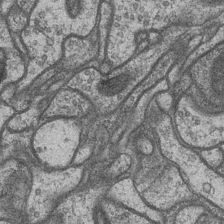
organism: Drosophila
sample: Optic medulla